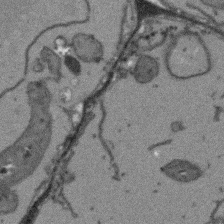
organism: Arabidopsis thaliana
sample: Root tip